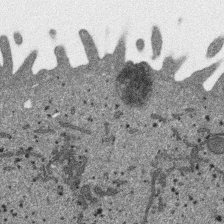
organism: Human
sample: Lung epithelial cells infected with SARS-CoV-2